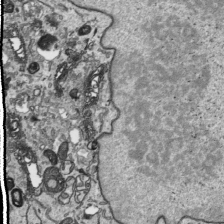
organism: Human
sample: Mitochondria in HCT116 cells